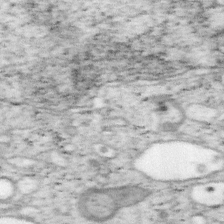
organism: Mouse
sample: OT-I killer T cells with ID8 ovarian cancer cells